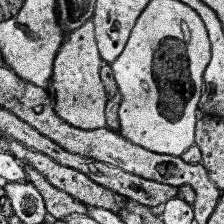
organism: Human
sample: Temporal Lobe